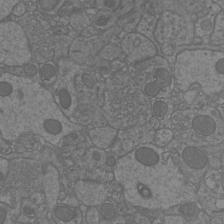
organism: Mouse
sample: Cortical neurons